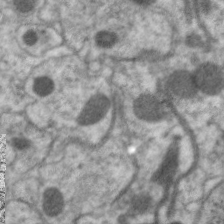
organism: C. elegans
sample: Pharynx